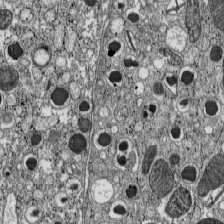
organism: C57BL Mouse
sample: Pancreatic islet